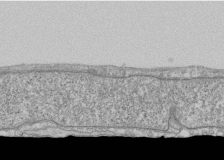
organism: Human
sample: Fibroblast cells